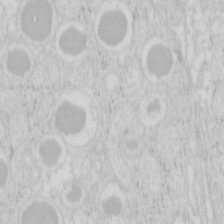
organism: Mouse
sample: Pancreas